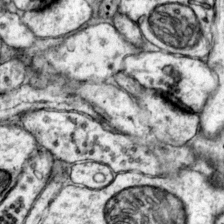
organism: Mouse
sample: Primary visual cortex